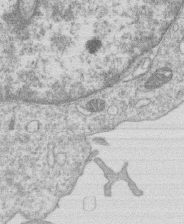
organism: Human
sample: Macrophage cells